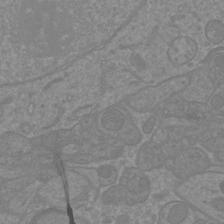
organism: Mouse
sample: Cortical neurons